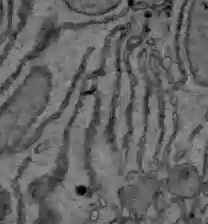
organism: C57BL Mouse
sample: Liver